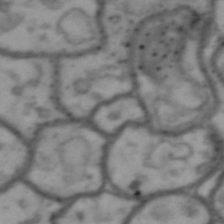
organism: Drosophila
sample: Brain